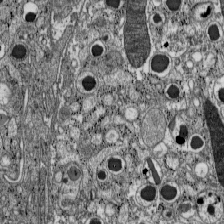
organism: C57BL Mouse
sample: Pancreatic islet